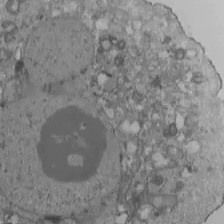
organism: Human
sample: Jurkat E6-1 and CD4 cells